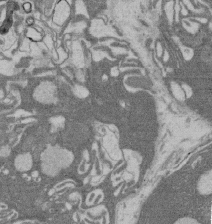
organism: Rat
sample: Salivary granule